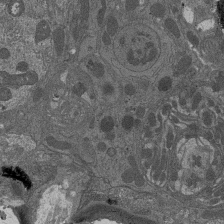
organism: Drosophila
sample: Antenna